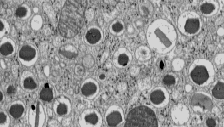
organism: C57BL Mouse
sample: Pancreatic islet